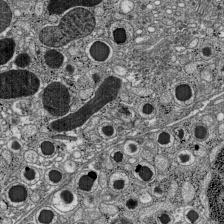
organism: C57BL Mouse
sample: Pancreatic islet